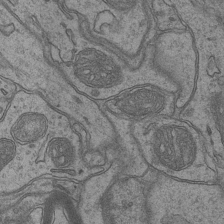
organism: Mouse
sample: CA1 Hippocampus